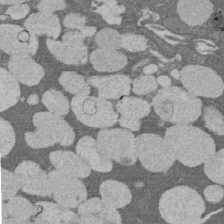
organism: Rat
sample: Salivary granule